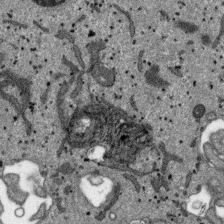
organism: Human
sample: Lung epithelial cells, uninfected (mock) control